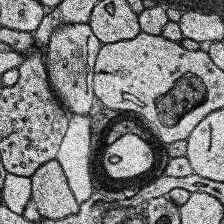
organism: Human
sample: Temporal Lobe